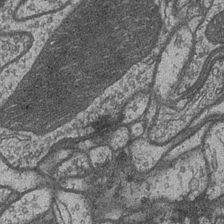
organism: Drosophila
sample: Optic medulla